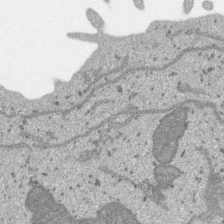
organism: Human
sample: Lung epithelial cells infected with SARS-CoV-2